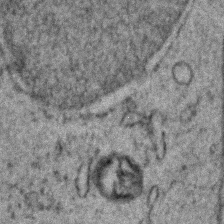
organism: Zebrafish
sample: Zebrafish embryo